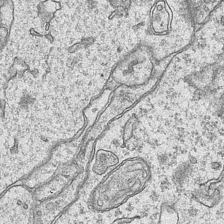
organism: Mouse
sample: CA1 Hippocampus